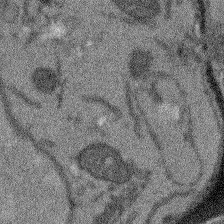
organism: Arabidopsis thaliana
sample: Root tip